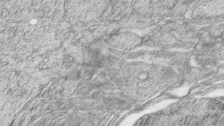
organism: Zebrafish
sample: synaptic ribbons in rod cells and cone cells